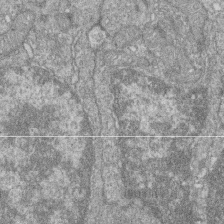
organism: Zebrafish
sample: Cilia; retinal pigment epithelium